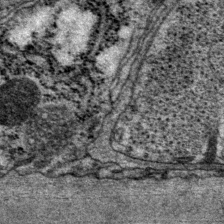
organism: P. pacificus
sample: Pharynx